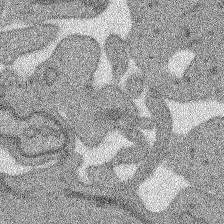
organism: Human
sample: HeLa cells